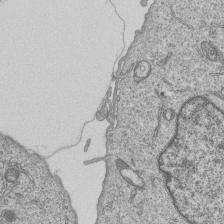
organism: Human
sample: MDA-MB-231 cells